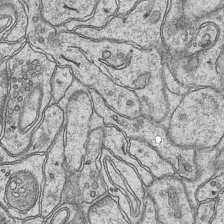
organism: Mouse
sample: CA1 Hippocampus